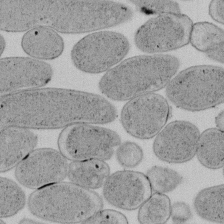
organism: E. coli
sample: Bacterial nucleoid